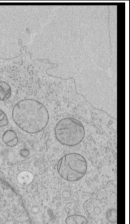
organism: Human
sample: Mitochondria in HCT116 cells